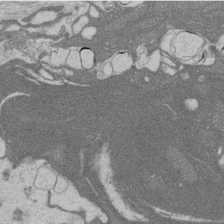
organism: Rat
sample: Salivary granule